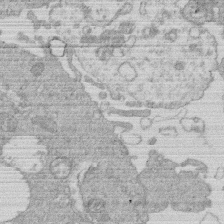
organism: Human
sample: Macrophage cells